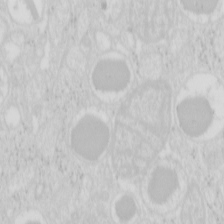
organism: Mouse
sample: Pancreas